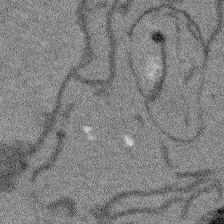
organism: Arabidopsis thaliana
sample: Root tip